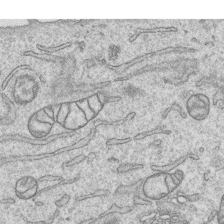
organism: Human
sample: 1205lu cells